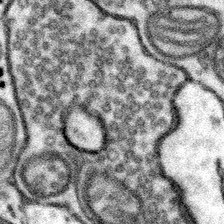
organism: Mouse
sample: Somatosensory cortex neuropil